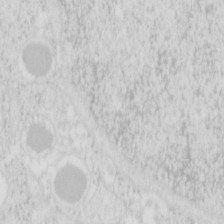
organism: Mouse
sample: Pancreas